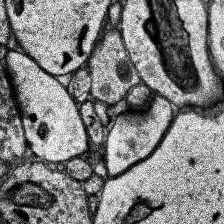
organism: Human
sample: Temporal Lobe